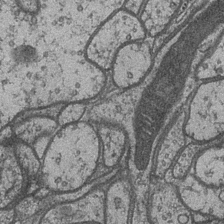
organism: Drosophila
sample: Optic medulla